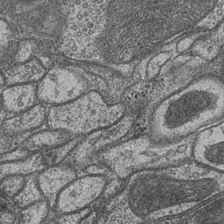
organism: Drosophila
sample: Optic medulla